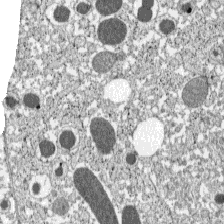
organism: C57BL Mouse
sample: Pancreatic islet